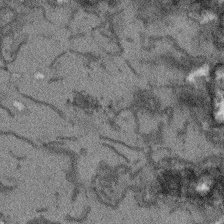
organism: Arabidopsis thaliana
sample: Root tip